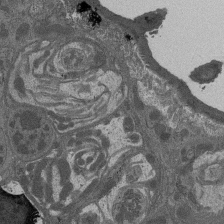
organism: Drosophila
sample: Antenna